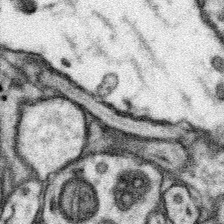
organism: Mouse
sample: Somatosensory cortex neuropil